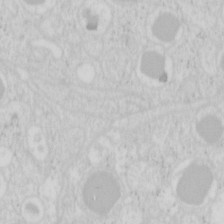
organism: Mouse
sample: Pancreas